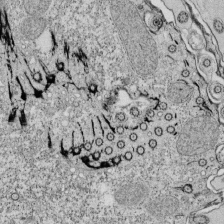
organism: Tetrahymena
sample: Cilia in tetrahymena